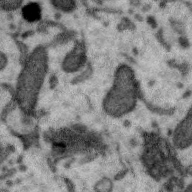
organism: Zebra finch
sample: Brain